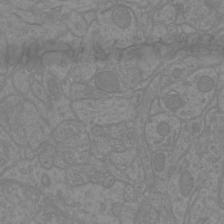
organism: Mouse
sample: Cortical neurons